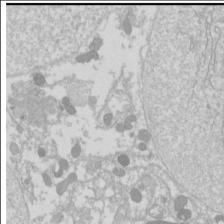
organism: Drosophila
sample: Cell division; meiosis; drosophila spermatocytes